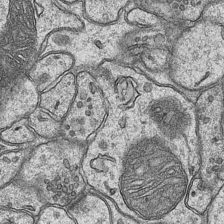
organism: Mouse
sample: CA1 Hippocampus